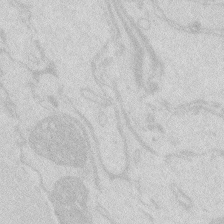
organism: Zebrafish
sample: Macrophage